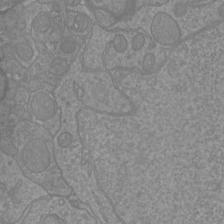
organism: Mouse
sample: Cortical neurons